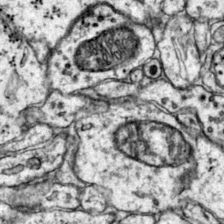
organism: Mouse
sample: Primary visual cortex